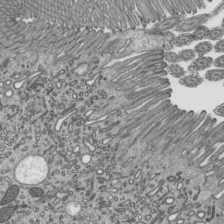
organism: Mouse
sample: Mouse epididymis efferent ductule cilia